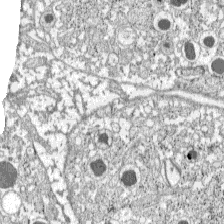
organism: C57BL Mouse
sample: Pancreatic islet